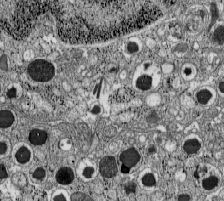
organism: C57BL Mouse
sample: Pancreatic islet